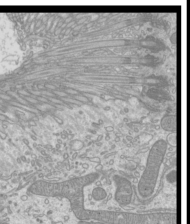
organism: Mouse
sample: Cilia; mouse epididymis